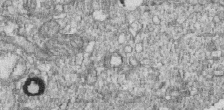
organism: Human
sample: HeLa cell HIV synapse